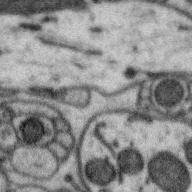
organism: Zebra finch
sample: Brain